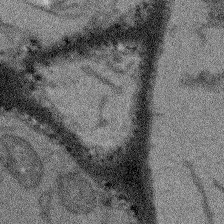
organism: Arabidopsis thaliana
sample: Root tip